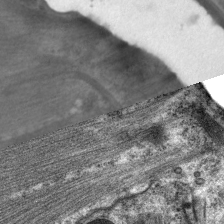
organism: C. elegans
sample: Pharynx